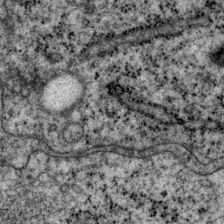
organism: P. pacificus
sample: Pharynx